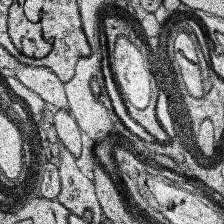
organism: Human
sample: Temporal Lobe